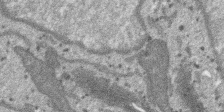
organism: Human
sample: Lung epithelial cells infected with SARS-CoV-2